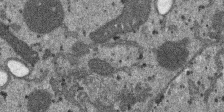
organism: Human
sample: Lung epithelial cells infected with SARS-CoV-2